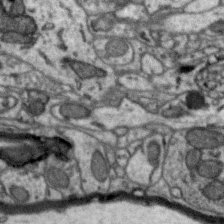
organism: Zebra finch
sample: Brain